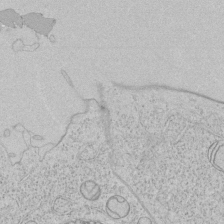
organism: Human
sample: Mitochondria in HCT116 cells